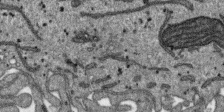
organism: Human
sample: Lung epithelial cells, uninfected (mock) control